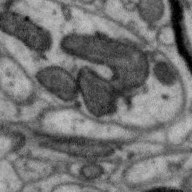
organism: Zebra finch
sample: Brain